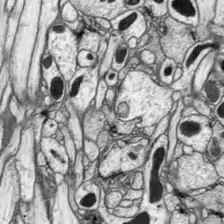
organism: Drosophila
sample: Optic lobe